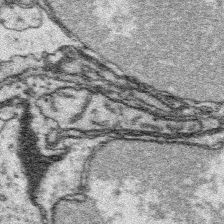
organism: Platynereis dumerilii